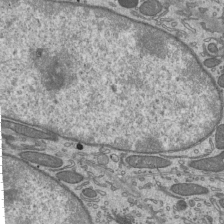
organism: Mouse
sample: Mouse epididymis efferent ductule cilia